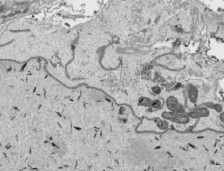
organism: Human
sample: Mitochondria in HCT116 cells